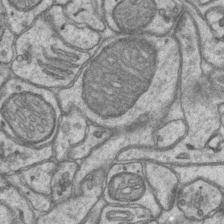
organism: Mouse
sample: CA1 Hippocampus